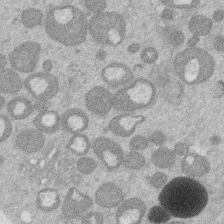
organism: Mouse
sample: Dividing mouse embryo 1 cell stage